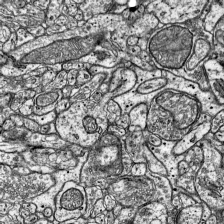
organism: Mouse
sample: Visual Cortex